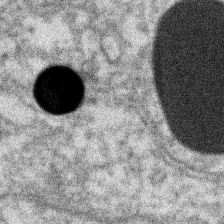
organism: Xenopus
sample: Cilia; centrioles in frog embryo cells